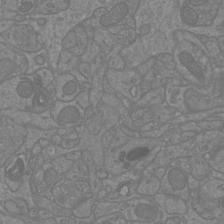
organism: Mouse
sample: Cortical neurons